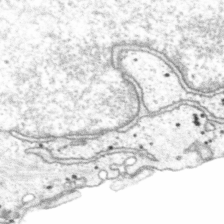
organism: Human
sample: HeLa cells